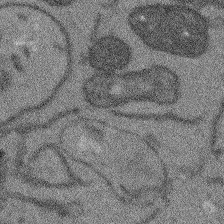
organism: Arabidopsis thaliana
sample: Root tip